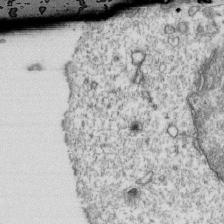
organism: Mouse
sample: Activated OT-1 CD8+ T cells